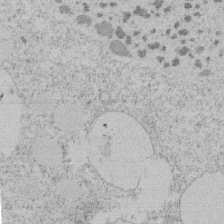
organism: Tetrahymena